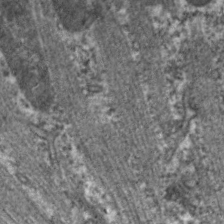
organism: C. elegans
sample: Pharynx